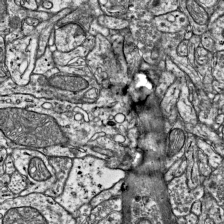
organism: Mouse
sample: Visual Cortex